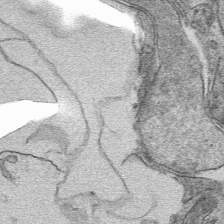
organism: Mouse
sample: Mouse hepatocytes